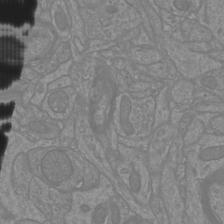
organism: Mouse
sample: Cortical neurons